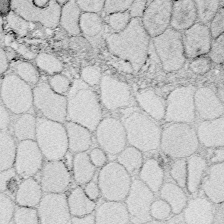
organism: Zebrafish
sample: Whole-Brain